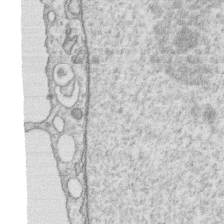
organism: Human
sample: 1205lu cells